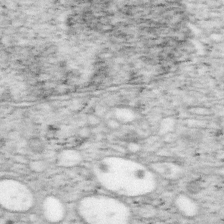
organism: Mouse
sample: OT-I killer T cells with ID8 ovarian cancer cells